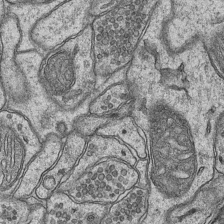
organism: Mouse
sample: CA1 Hippocampus